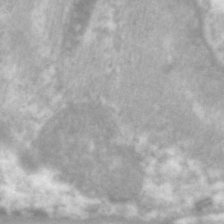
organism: C. elegans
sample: Pharynx